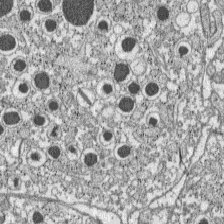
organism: C57BL Mouse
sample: Pancreatic islet